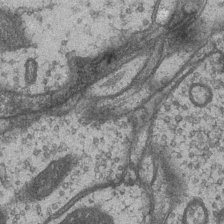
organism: Drosophila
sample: Optic medulla